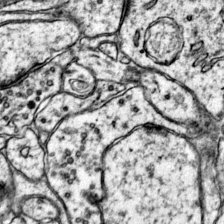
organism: Mouse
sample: Primary visual cortex